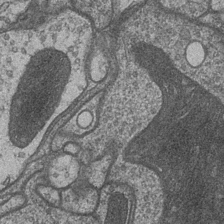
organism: Drosophila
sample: Optic medulla